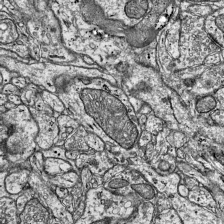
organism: Mouse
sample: Visual Cortex